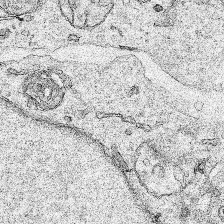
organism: Human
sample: Mitochondria in HCT116 cells